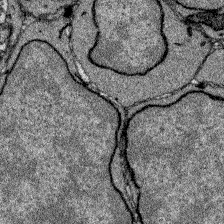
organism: Zebrafish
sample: Larval olfactory bulb